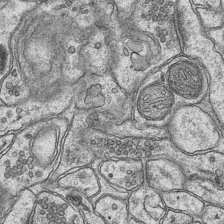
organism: Mouse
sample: CA1 Hippocampus